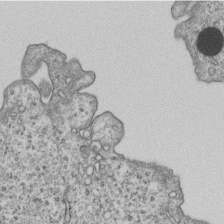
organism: Human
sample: MDA-MB-231 cells